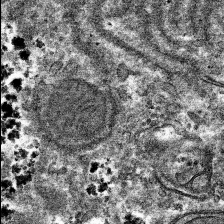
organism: Mouse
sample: Mouse hepatocytes